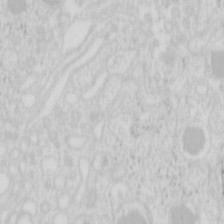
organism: Mouse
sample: Pancreas